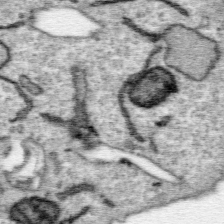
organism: Human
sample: HeLa cells